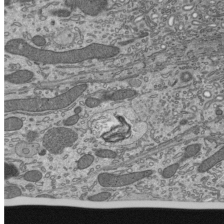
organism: Mouse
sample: Mouse epididymis efferent ductule cilia